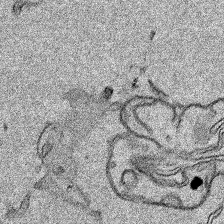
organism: Human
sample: Mitochondria in HCT116 cells